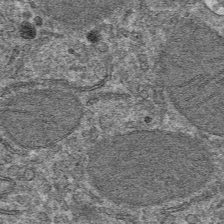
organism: Mouse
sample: Mouse hepatocytes